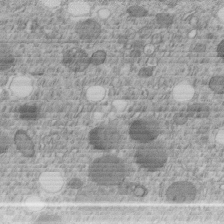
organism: C. elegans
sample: C. elegans embryo early stage